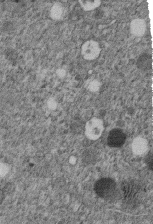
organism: C. elegans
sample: C. elegans embryo early stage